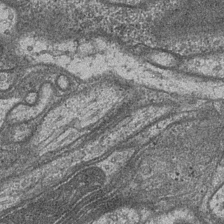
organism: Drosophila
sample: Optic medulla